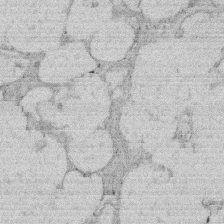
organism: Rat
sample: Salivary granule